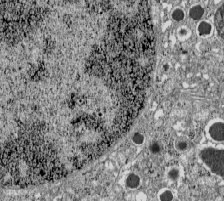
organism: C57BL Mouse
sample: Pancreatic islet